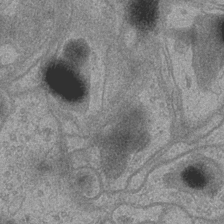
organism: Drosophila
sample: Optic medulla